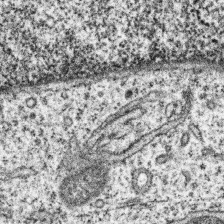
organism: Human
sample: HeLa cells